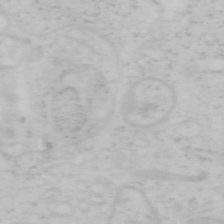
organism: Mouse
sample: OT-I killer T cells with ID8 ovarian cancer cells